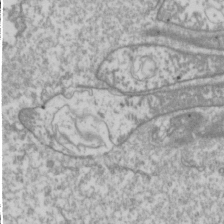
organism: Drosophila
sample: Cell division; meiosis; drosophila spermatocytes